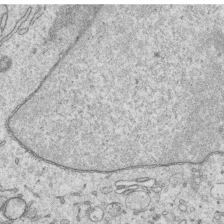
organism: Human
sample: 1205lu cells